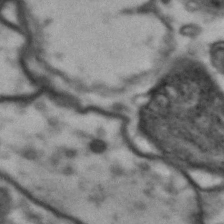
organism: Drosophila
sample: Brain